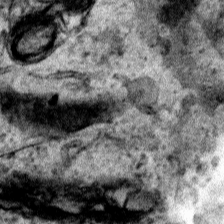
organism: Human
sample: Mitochondria in HCT116 cells